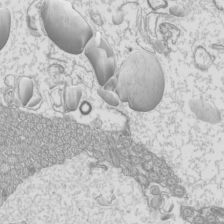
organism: Mouse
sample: Cilia; mouse epididymis